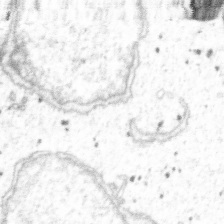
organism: Human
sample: HeLa cells